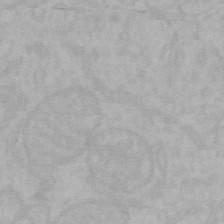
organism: Mouse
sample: Choroid plexus